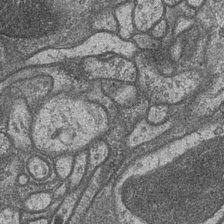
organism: Drosophila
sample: Optic medulla